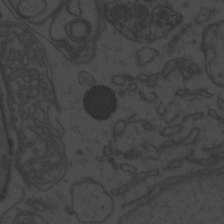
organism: Zebrafish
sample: Macrophage infected with Toxoplasma gondii